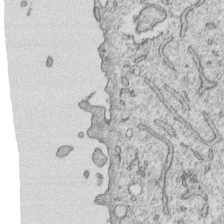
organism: Human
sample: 1205lu cells